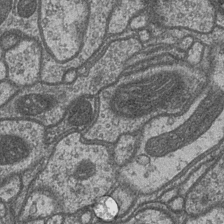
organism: Drosophila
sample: Optic medulla